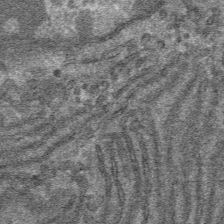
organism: Mouse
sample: Mouse hepatocytes